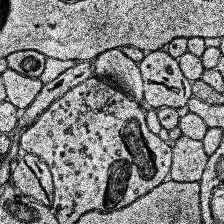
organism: Human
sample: Temporal Lobe